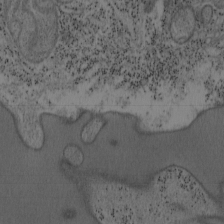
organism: Mouse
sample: OT-I killer T cells with ID8 ovarian cancer cells